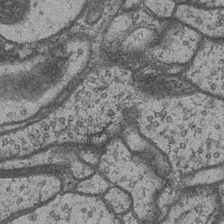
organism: Drosophila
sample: Optic medulla